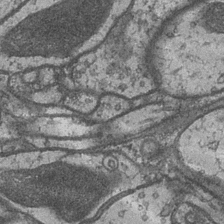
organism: Drosophila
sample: Optic medulla